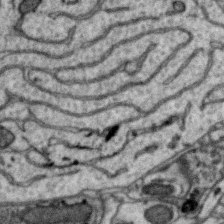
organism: Zebra finch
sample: Brain